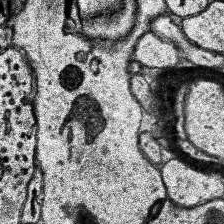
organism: Human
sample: Temporal Lobe